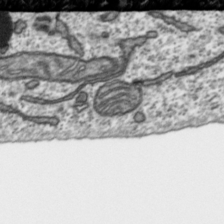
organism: Toxoplasma gondii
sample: Parasites in a vacuole inside a host cell